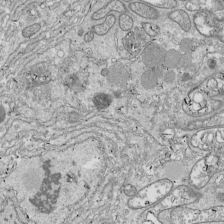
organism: Drosophila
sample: Cell division; meiosis; drosophila spermatocytes